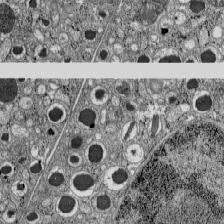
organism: C57BL Mouse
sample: Pancreatic islet